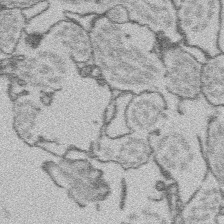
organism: Platynereis dumerilii